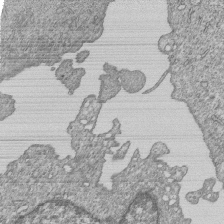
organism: Human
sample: MDA-MB-231 cells